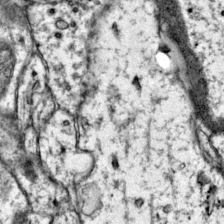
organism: Mouse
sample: Primary visual cortex